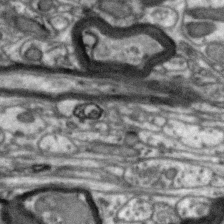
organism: Zebra finch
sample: Brain